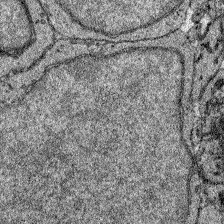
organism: Zebrafish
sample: Larval olfactory bulb